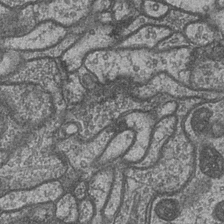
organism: Drosophila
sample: Optic medulla